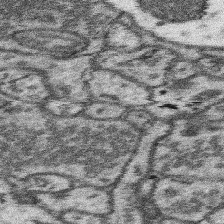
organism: Mouse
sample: Somatosensory cortex neuropil